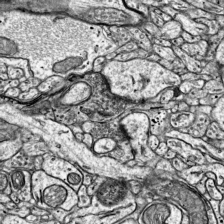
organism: Mouse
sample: Visual Cortex